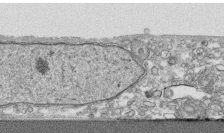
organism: Human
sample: CRL-1474